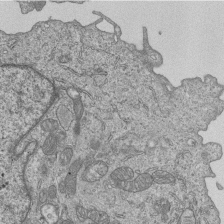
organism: Human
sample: MDA-MB-231 cells